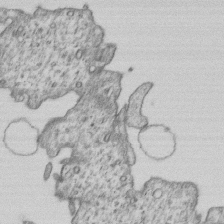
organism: Human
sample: MDA-MB-231 cells